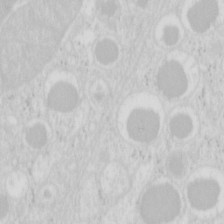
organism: Mouse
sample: Pancreas